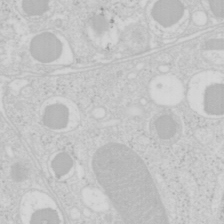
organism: Mouse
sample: Pancreas